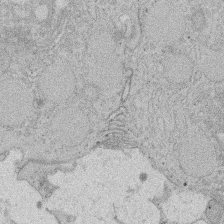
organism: Rat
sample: Salivary granule